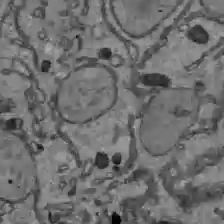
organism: C57BL Mouse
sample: Liver